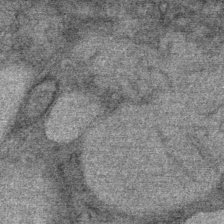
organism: Mouse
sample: Mouse Salivary gland